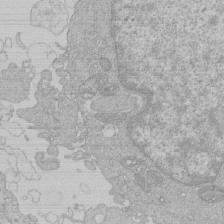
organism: Human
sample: Macrophage cells